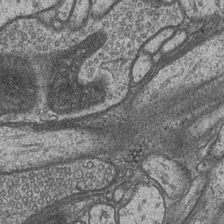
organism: Drosophila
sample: Optic medulla